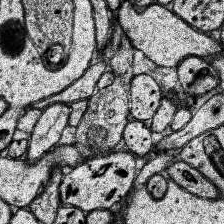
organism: Human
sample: Temporal Lobe